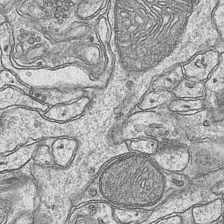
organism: Mouse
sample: CA1 Hippocampus